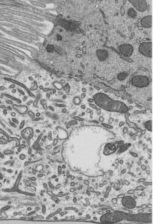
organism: Mouse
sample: Mouse epididymis efferent ductule cilia